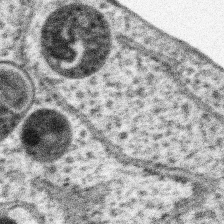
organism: Human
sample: HeLa cells